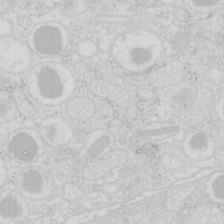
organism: Mouse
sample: Pancreas